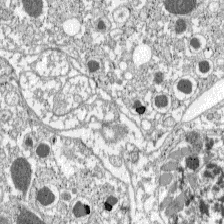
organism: C57BL Mouse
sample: Pancreatic islet